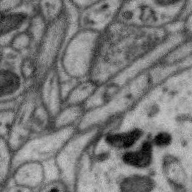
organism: Zebra finch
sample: Brain